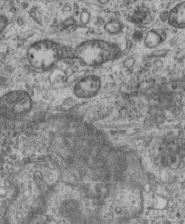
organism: Mouse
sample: Centriole in ependymal cells